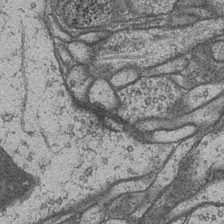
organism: Drosophila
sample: Optic medulla